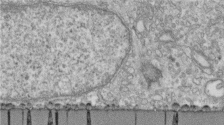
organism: Human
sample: Centriole in fibroblast cells